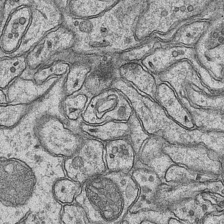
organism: Mouse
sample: CA1 Hippocampus